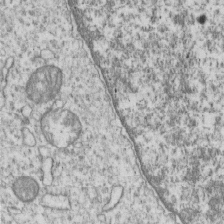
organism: Human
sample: MDA-MB-231 cells